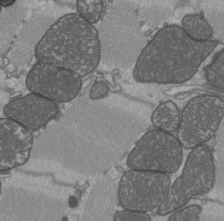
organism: C57BL Mouse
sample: Heart